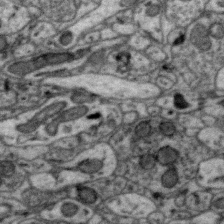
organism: Zebra finch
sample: Brain